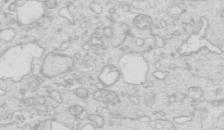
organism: Mouse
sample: Multiciliated cells